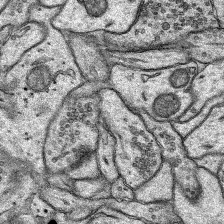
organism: Rat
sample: Hippocampus